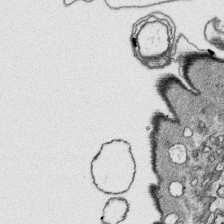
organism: Platynereis dumerilii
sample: Parapodia